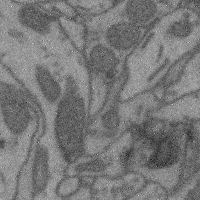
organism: Mouse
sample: Cerebral cortex